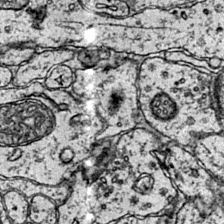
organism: Mouse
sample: Primary visual cortex